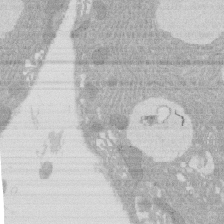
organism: Rat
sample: Salivary granule